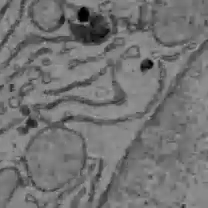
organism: C57BL Mouse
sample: Liver